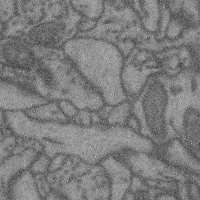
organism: Mouse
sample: Cerebral cortex